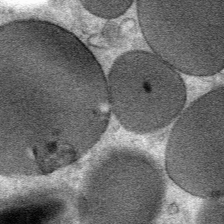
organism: Mouse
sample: Mouse Salivary gland